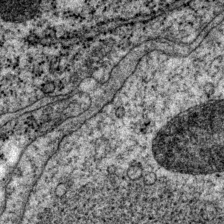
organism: P. pacificus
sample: Pharynx